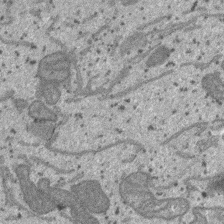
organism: Human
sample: Lung epithelial cells infected with SARS-CoV-2